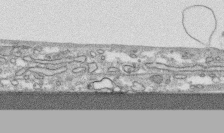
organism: Human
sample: CRL-1474